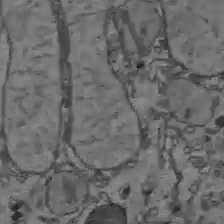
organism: C57BL Mouse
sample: Liver